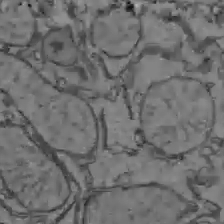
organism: C57BL Mouse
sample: Liver